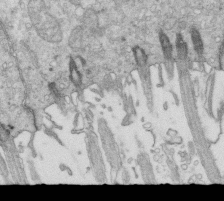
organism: Mouse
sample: Multiciliated cells